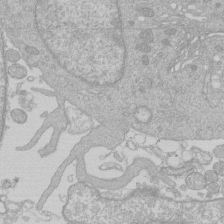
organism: Human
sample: Macrophage cells